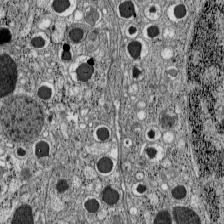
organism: C57BL Mouse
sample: Pancreatic islet